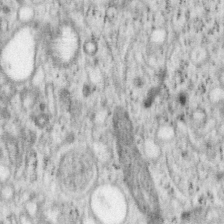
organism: Mouse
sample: OT-I killer T cells with ID8 ovarian cancer cells